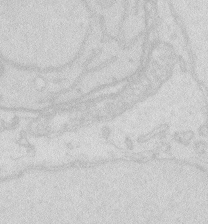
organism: Zebrafish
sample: Macrophage